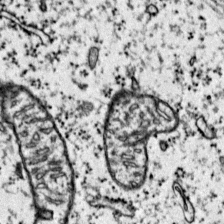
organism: Mouse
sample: Primary visual cortex